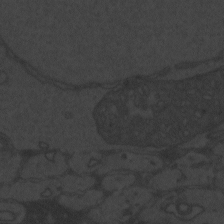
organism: Zebrafish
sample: Macrophage infected with Toxoplasma gondii